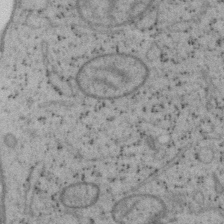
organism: Human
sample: HeLa cells